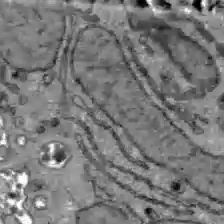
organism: C57BL Mouse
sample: Liver